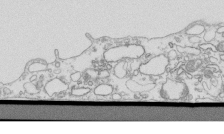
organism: Mouse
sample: Macrophages